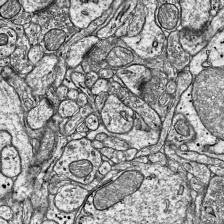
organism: Mouse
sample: Visual Cortex